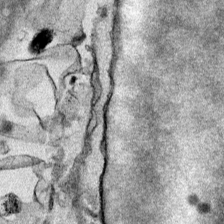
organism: Mouse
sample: Cancer cell death in ED-1 cells